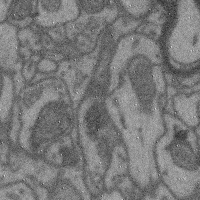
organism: Mouse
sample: Cerebral cortex